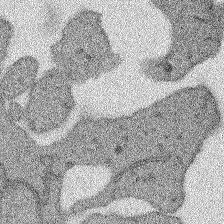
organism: Human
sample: HeLa cells